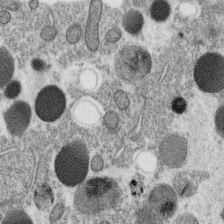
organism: C. elegans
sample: C. elegans oocyte; sperm cells